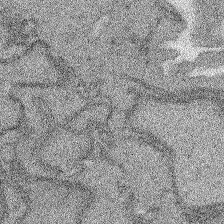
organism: Human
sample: HeLa cells